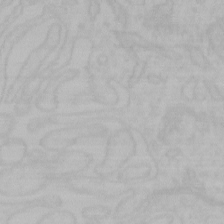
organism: Mouse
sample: Choroid plexus